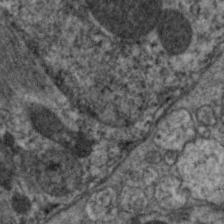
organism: C. elegans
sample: Pharynx